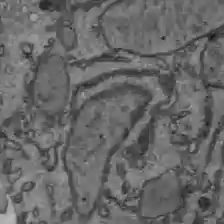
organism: C57BL Mouse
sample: Liver